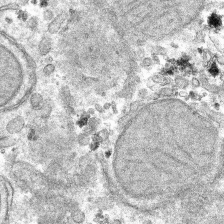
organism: Mouse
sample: Mouse hepatocytes